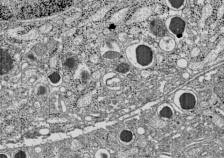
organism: C57BL Mouse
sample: Pancreatic islet